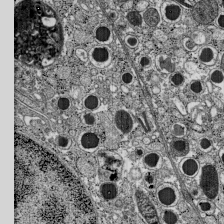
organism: C57BL Mouse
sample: Pancreatic islet